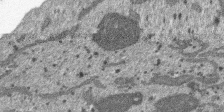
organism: Human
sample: Lung epithelial cells infected with SARS-CoV-2